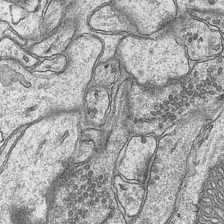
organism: Mouse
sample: CA1 Hippocampus